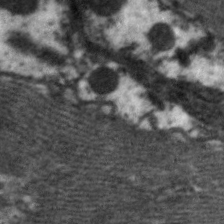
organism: C. elegans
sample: Pharynx